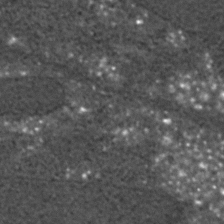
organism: C. elegans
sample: C. elegans embryo